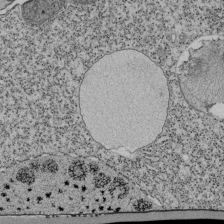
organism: Tetrahymena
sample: Cilia in tetrahymena